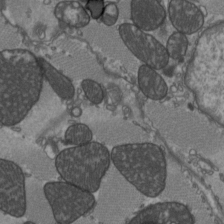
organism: C57BL Mouse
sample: Heart